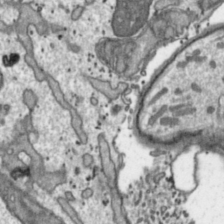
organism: Toxoplasma gondii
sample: Parasites in a vacuole inside a host cell